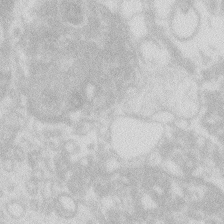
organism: Zebrafish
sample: Macrophage